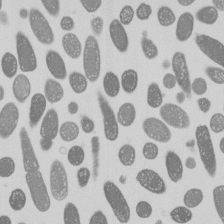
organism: E. coli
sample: Bacterial nucleoid